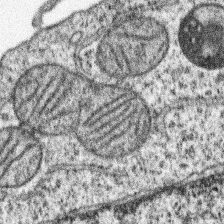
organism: Human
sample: HeLa cells